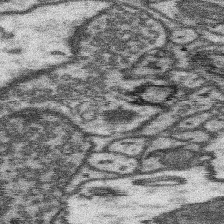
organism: Mouse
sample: Somatosensory cortex neuropil